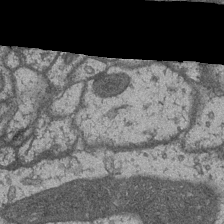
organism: Drosophila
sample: Optic medulla